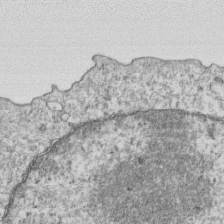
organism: Mouse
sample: Activated OT-1 CD8+ T cells